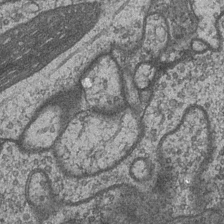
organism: Drosophila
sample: Optic medulla